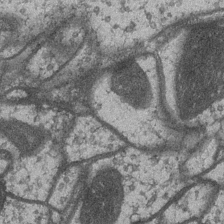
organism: Drosophila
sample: Optic medulla